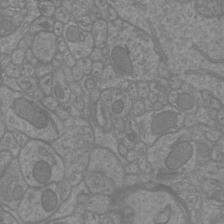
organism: Mouse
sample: Cortical neurons